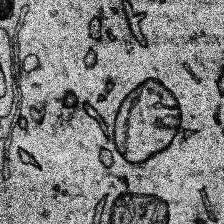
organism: Human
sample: Temporal Lobe